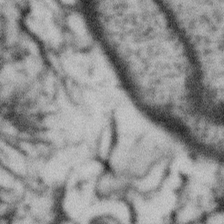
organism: Gemmata obscuriglobus